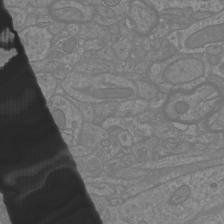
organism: Mouse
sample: Cortical neurons